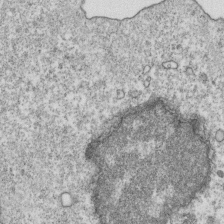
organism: Mouse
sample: Activated OT-1 CD8+ T cells